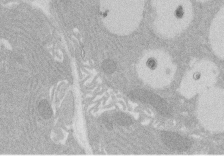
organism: Rat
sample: Salivary granule